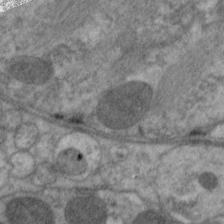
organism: C. elegans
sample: Pharynx